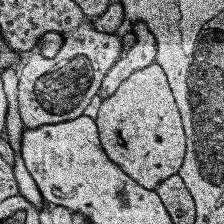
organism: Human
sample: Temporal Lobe